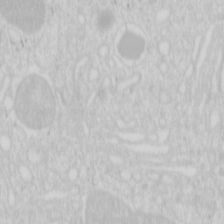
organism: Mouse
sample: Pancreas